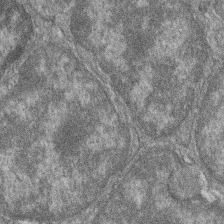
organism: Zebrafish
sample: Cilia; retinal pigment epithelium